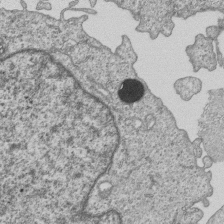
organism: Human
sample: MDA-MB-231 cells